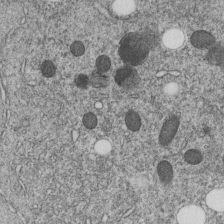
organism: C. elegans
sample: C. elegans embryo early stage